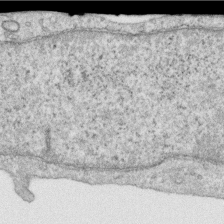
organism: Human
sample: Centriole in RPE cells